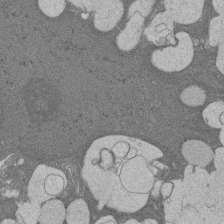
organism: Rat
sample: Salivary granule